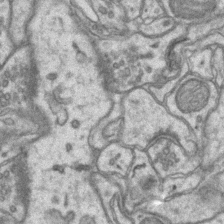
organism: Mouse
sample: CA1 Hippocampus